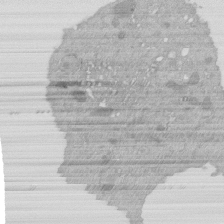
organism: Mouse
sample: Activated Pmel transgenic CD8+ T Cells